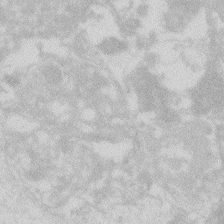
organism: Zebrafish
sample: Macrophage